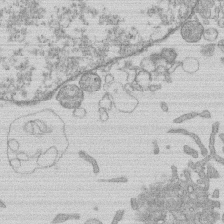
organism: Human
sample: Macrophage cells